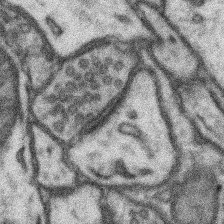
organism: Mouse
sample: Somatosensory cortex neuropil